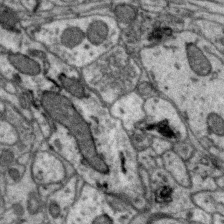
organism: Zebra finch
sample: Brain